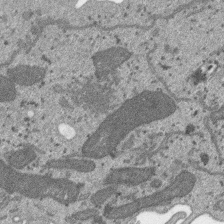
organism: Human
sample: Lung epithelial cells infected with SARS-CoV-2